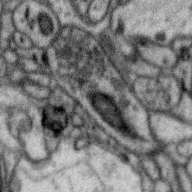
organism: Zebra finch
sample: Brain